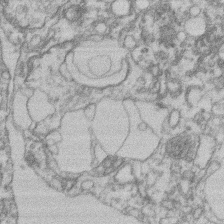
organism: Mouse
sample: T cell stromal cell synapse